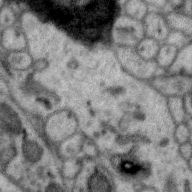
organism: Zebra finch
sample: Brain